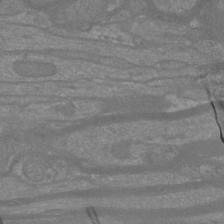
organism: Mouse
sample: Cortical neurons